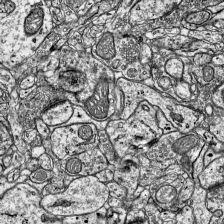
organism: Mouse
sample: Visual Cortex